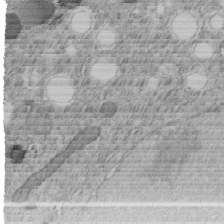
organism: C. elegans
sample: C. elegans embryo early stage